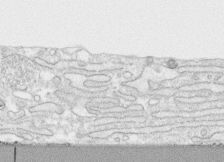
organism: Human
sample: CRL-1474